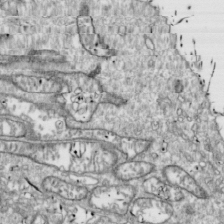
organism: Drosophila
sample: Cell division; meiosis; drosophila spermatocytes